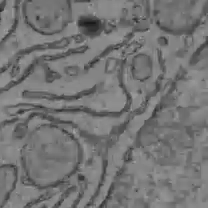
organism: C57BL Mouse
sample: Liver